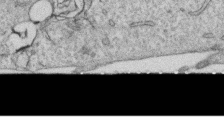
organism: Human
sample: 1205lu cells